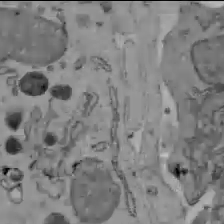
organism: C57BL Mouse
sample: Liver